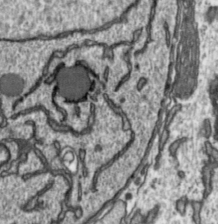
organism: Toxoplasma gondii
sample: Parasites in a vacuole inside a host cell